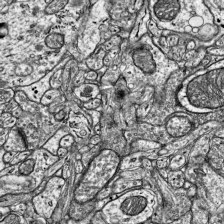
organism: Mouse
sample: Visual Cortex